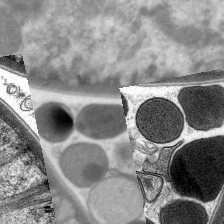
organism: C. elegans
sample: Pharynx